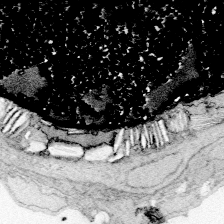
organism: Zebrafish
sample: Whole-Brain